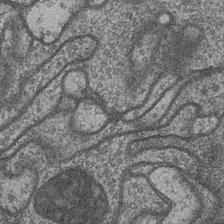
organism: Drosophila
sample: Optic medulla